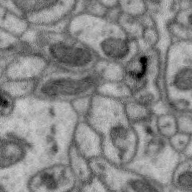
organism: Zebra finch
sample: Brain